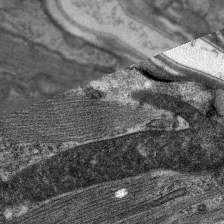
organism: C. elegans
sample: Pharynx